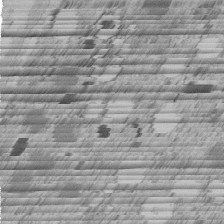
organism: C. elegans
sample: C. elegans embryo early stage